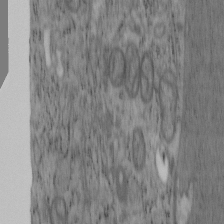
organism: Human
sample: HeLa cells